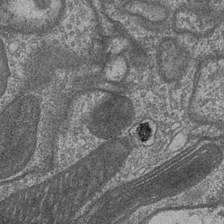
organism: Drosophila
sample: Optic medulla